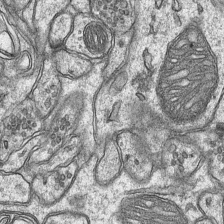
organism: Mouse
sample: CA1 Hippocampus